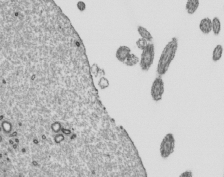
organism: Mouse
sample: Mouse epididymis efferent ductule cilia